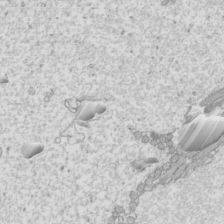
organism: Mouse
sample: Cilia; mouse epididymis